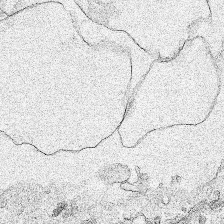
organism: Human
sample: Mitochondria in HCT116 cells